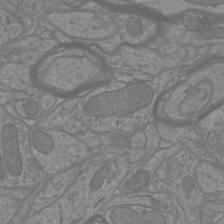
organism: Mouse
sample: Cortical neurons